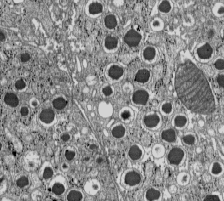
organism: C57BL Mouse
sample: Pancreatic islet